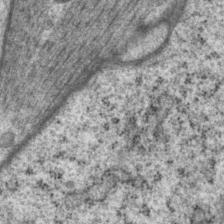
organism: P. pacificus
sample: Pharynx